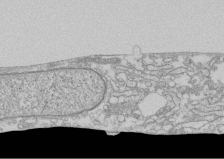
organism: Human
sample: CRL-1474